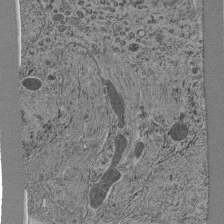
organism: C. elegans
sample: C. elegans pharynx